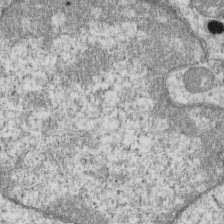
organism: Mouse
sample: Activated OT-1 CD8+ T cells